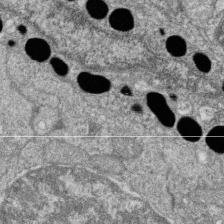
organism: Zebrafish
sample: Cilia; retinal pigment epithelium